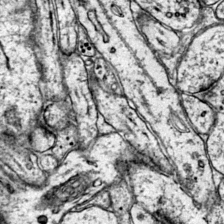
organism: Mouse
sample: Primary visual cortex